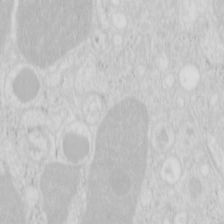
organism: Mouse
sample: Pancreas